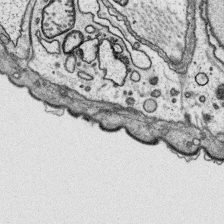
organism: Platynereis dumerilii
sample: Parapodia